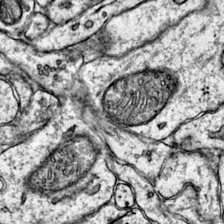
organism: Mouse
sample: Primary visual cortex